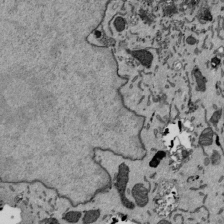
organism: Mouse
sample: ED-1 cell nuclei; centrioles